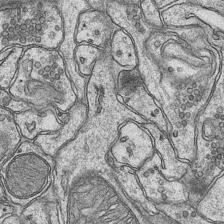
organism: Mouse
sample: CA1 Hippocampus